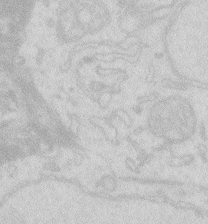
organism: Zebrafish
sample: Macrophage